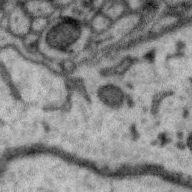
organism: Zebra finch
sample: Brain